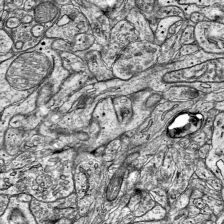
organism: Mouse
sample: Visual Cortex